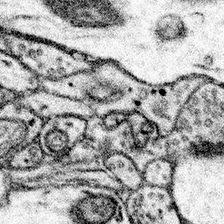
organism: Mouse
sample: Somatosensory cortex neuropil